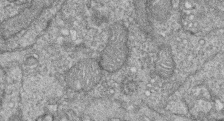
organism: Zebrafish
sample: Cilia; retinal pigment epithelium